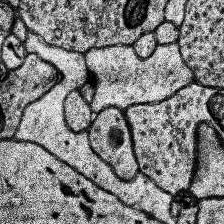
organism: Human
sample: Temporal Lobe